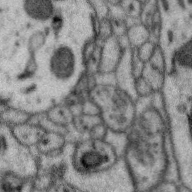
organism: Zebra finch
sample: Brain